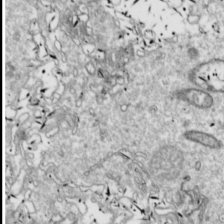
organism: Drosophila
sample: Cell division; meiosis; drosophila spermatocytes